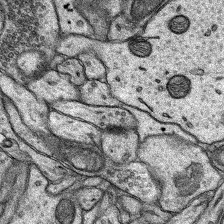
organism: Rat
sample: Hippocampus